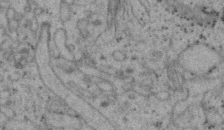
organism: Human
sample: HeLa cells